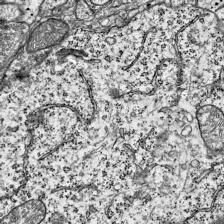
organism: Mouse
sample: Visual Cortex